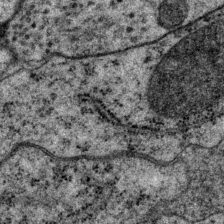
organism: P. pacificus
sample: Pharynx